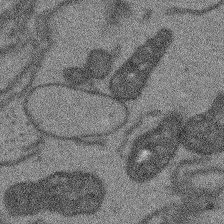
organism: Arabidopsis thaliana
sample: Root tip